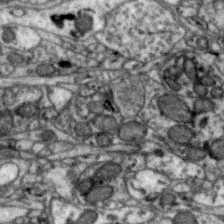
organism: Zebra finch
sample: Brain